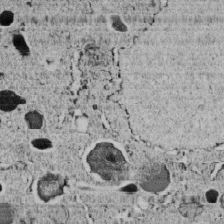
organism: C. elegans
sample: C. elegans embryo early stage